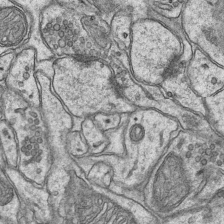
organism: Mouse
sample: CA1 Hippocampus